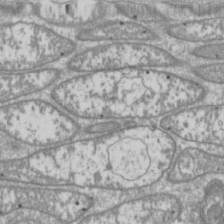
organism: Drosophila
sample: Cell division; meiosis; drosophila spermatocytes